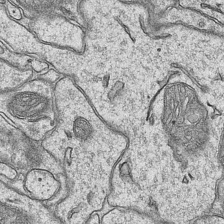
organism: Mouse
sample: CA1 Hippocampus